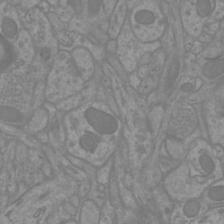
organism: Mouse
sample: Cortical neurons